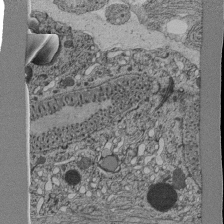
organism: C. elegans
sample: C. elegans pharynx